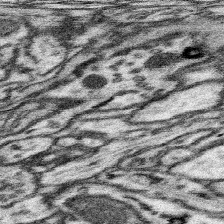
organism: Mouse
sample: Somatosensory cortex neuropil